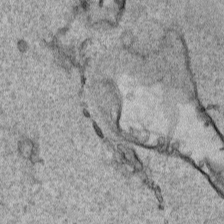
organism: Human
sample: Mitochondria in HCT116 cells